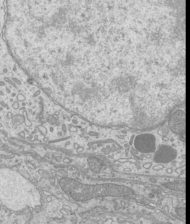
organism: Mouse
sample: Cilia; mouse epididymis